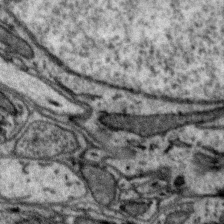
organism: Zebra finch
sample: Brain